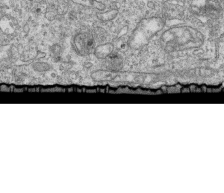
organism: Human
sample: HeLa cell HIV synapse